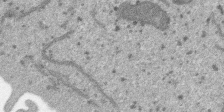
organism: Human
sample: Lung epithelial cells infected with SARS-CoV-2